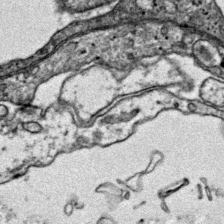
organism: Mouse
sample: Primary visual cortex